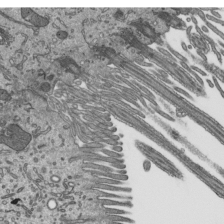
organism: Mouse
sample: Mouse epididymis efferent ductule cilia